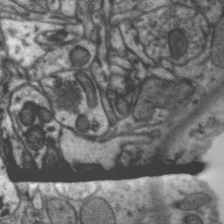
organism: Zebra finch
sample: Brain